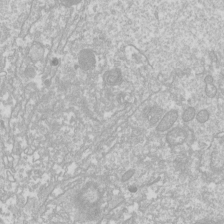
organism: Drosophila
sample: Cell division; meiosis; drosophila spermatocytes